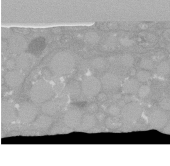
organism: C. elegans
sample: C. elegans oocyte; sperm cells